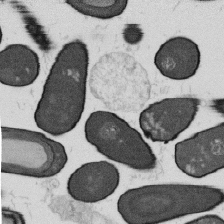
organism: B. subtilis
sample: Bacterial spore